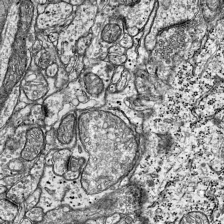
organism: Mouse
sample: Visual Cortex